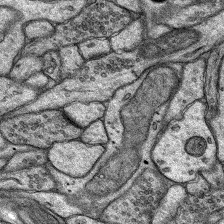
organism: Rat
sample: Hippocampus